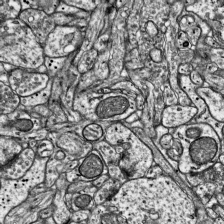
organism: Mouse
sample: Visual Cortex